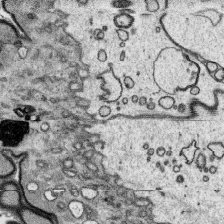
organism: Platynereis dumerilii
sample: Parapodia